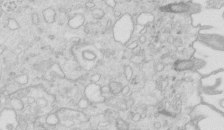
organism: Mouse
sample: Multiciliated cells